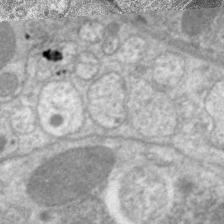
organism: C. elegans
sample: Pharynx